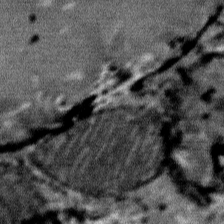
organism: Mouse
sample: Mouse Salivary gland